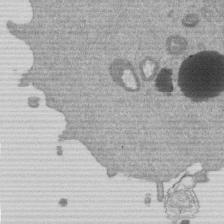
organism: Mouse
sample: Dividing mouse embryo 1 cell stage